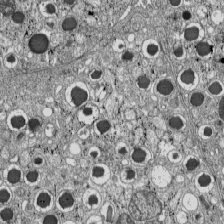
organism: C57BL Mouse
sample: Pancreatic islet